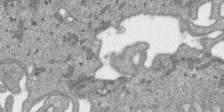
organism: Human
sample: Lung epithelial cells infected with SARS-CoV-2